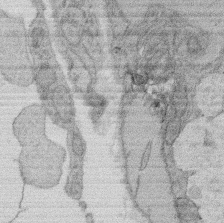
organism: Rat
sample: Salivary granule